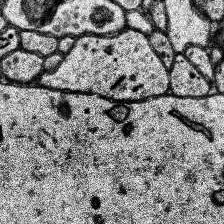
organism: Human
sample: Temporal Lobe